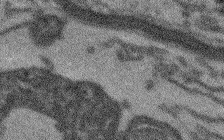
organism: Arabidopsis thaliana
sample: Root tip